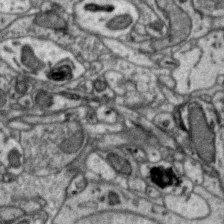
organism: Zebra finch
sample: Brain